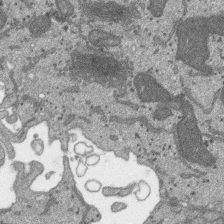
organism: Human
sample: Lung epithelial cells infected with SARS-CoV-2